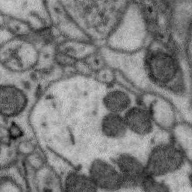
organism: Zebra finch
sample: Brain